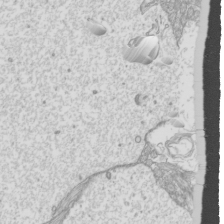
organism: Mouse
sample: Cilia; mouse epididymis